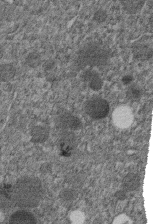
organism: C. elegans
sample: C. elegans embryo early stage